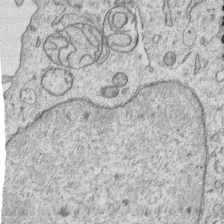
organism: Human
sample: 1205lu cells